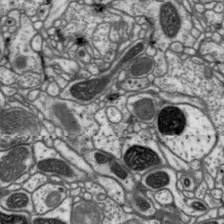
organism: Drosophila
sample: Protocerebral bridge